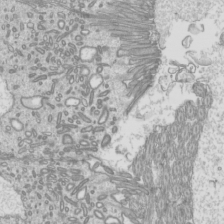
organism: Mouse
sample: Cilia; mouse epididymis